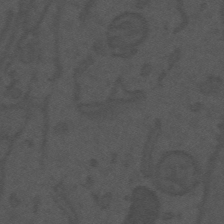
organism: Mouse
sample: Suprachiasmatic nucleus